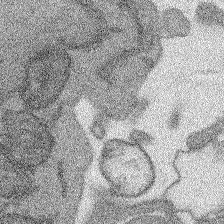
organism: Human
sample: HeLa cells